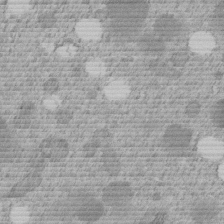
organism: C. elegans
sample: C. elegans embryo early stage